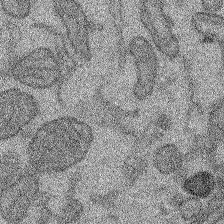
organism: Human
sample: HeLa cells